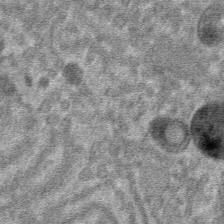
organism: Mouse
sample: Mouse hepatocytes